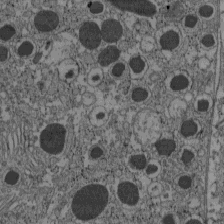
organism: C57BL Mouse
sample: Pancreatic islet